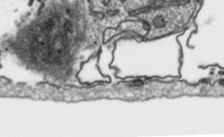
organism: Toxoplasma gondii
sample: Parasites in a vacuole inside a host cell